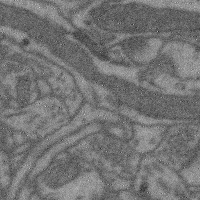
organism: Mouse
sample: Cerebral cortex